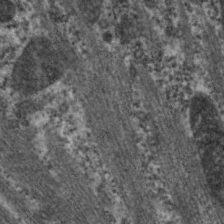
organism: C. elegans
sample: Pharynx